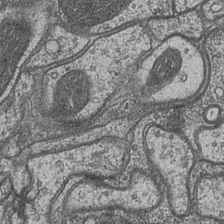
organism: Drosophila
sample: Optic medulla